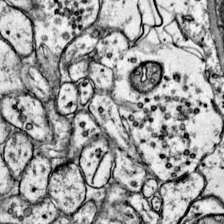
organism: Mouse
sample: Primary visual cortex